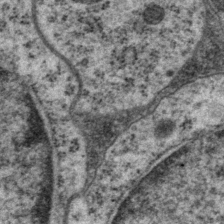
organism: P. pacificus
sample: Pharynx